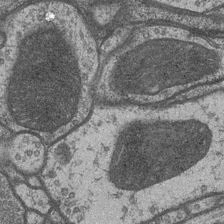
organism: Drosophila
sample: Optic medulla